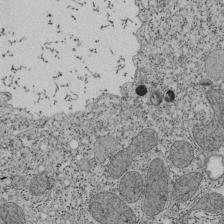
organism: Tetrahymena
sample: Cilia in tetrahymena